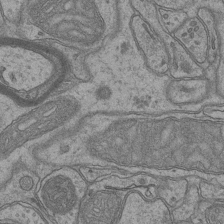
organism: Mouse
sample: CA1 Hippocampus